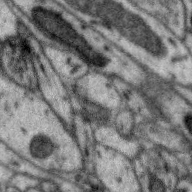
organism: Zebra finch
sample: Brain